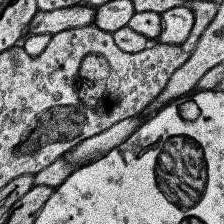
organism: Human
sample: Temporal Lobe